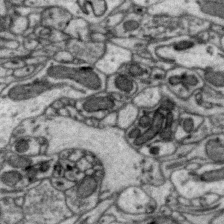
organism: Zebra finch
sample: Brain